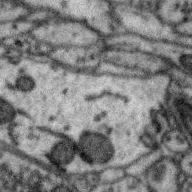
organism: Zebra finch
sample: Brain